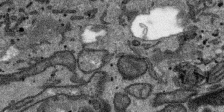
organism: Human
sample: Lung epithelial cells, uninfected (mock) control